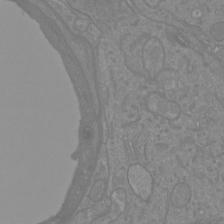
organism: Mouse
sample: Cortical neurons